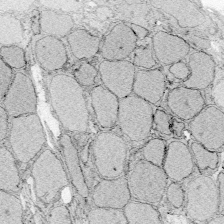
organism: Zebrafish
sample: Whole-Brain